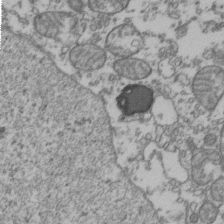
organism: Human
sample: Activated Jurkat CD4+ T cells